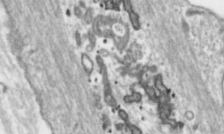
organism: Toxoplasma gondii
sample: Parasites in a vacuole inside a host cell